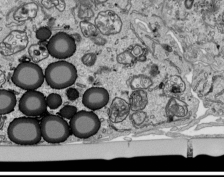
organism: Human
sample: Mitochondria in HCT116 cells